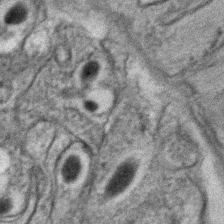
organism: C. elegans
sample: C. elegans embryo